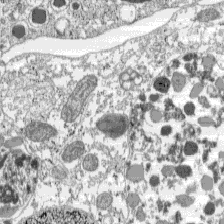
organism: C57BL Mouse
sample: Pancreatic islet